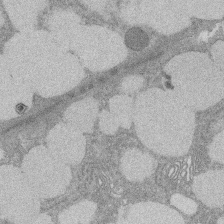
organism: Rat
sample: Salivary granule